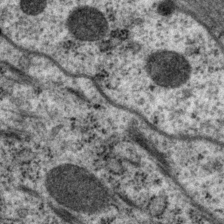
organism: P. pacificus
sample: Pharynx